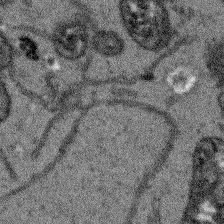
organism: Arabidopsis thaliana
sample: Root tip